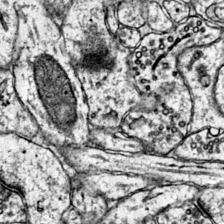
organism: Mouse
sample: Primary visual cortex